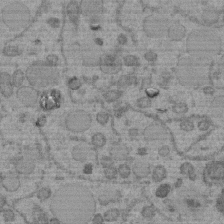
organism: C. elegans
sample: C. elegans embryo early stage